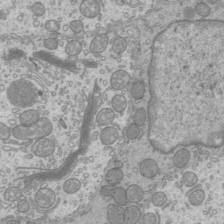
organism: Mouse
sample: Cilia; mouse epididymis